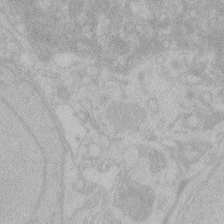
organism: Zebrafish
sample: Macrophage infected with Toxoplasma gondii